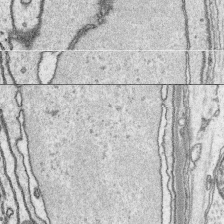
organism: Platynereis dumerilii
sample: Parapodia